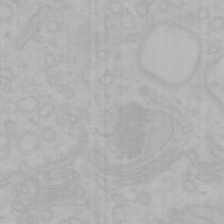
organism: Mouse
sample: Choroid plexus